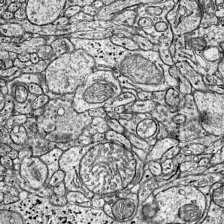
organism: Mouse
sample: Visual Cortex